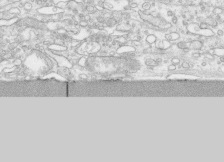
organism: Human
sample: CRL-1474